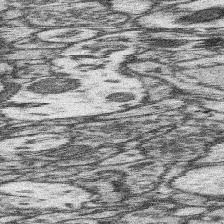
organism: Mouse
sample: Somatosensory cortex neuropil